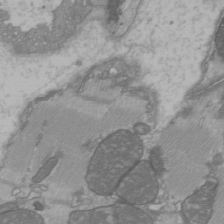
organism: C57BL Mouse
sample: Heart